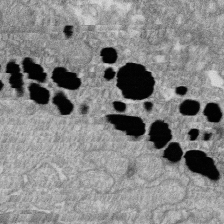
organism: Zebrafish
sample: Cilia; retinal pigment epithelium